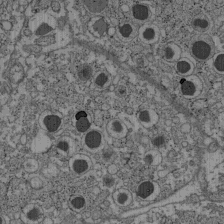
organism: C57BL Mouse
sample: Pancreatic islet